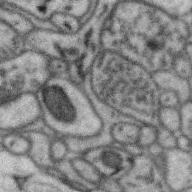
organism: Zebra finch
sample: Brain